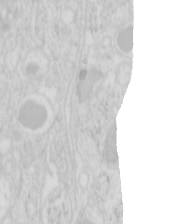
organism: Mouse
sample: Pancreas